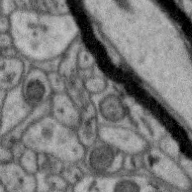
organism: Zebra finch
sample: Brain